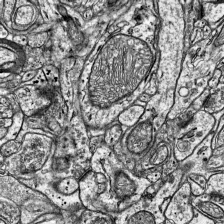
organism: Mouse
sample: Visual Cortex